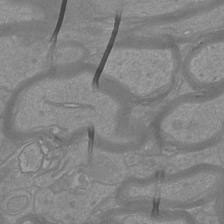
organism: Mouse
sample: Cortical neurons